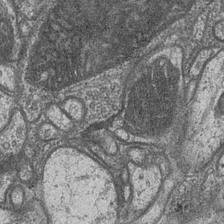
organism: Drosophila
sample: Optic medulla